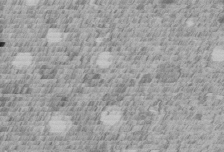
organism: C. elegans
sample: C. elegans embryo early stage